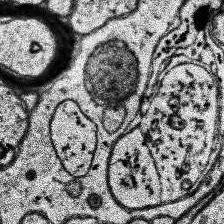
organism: Human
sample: Temporal Lobe